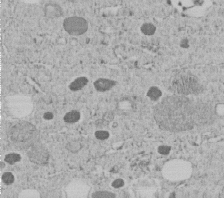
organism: C. elegans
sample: C. elegans embryo early stage